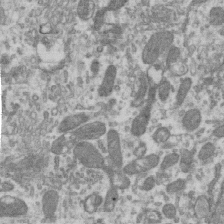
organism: Human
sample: Centriole in RPE cells